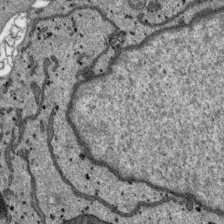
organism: Human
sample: Lung epithelial cells, uninfected (mock) control